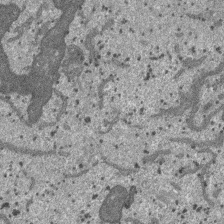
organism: Human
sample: Lung epithelial cells infected with SARS-CoV-2